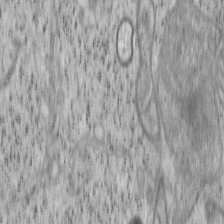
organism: Human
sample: HeLa cells